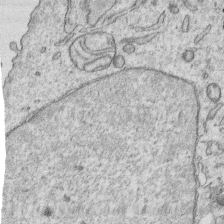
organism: Human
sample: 1205lu cells